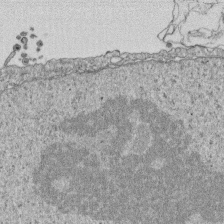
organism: Human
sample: HeLa cell HIV synapse